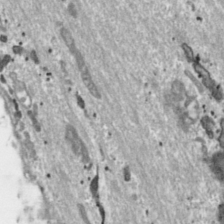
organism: Toxoplasma gondii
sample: Parasites in a vacuole inside a host cell